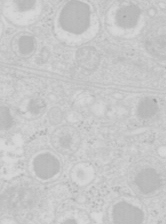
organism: Mouse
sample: Pancreas